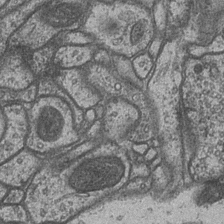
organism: Drosophila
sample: Optic medulla